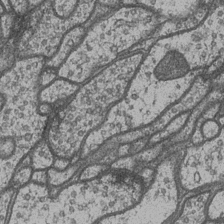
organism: Drosophila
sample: Optic medulla